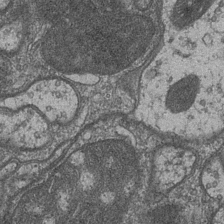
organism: Drosophila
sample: Optic medulla